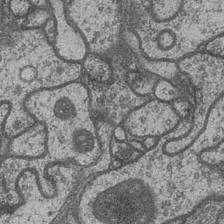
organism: Drosophila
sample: Optic medulla